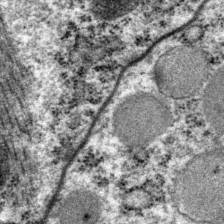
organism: P. pacificus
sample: Pharynx